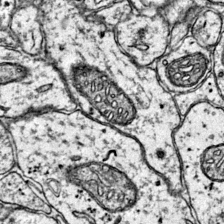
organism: Mouse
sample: Primary visual cortex